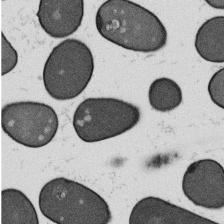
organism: B. subtilis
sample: Bacterial spore